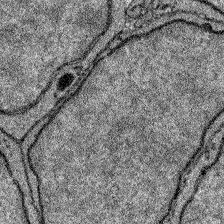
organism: Zebrafish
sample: Larval olfactory bulb